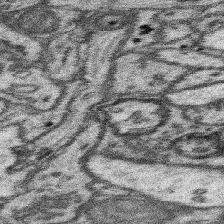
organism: Mouse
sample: Somatosensory cortex neuropil